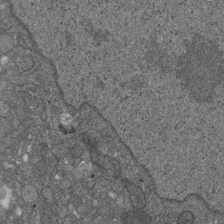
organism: Drosophila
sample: Nephrocyte